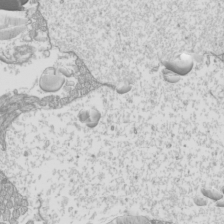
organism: Mouse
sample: Cilia; mouse epididymis